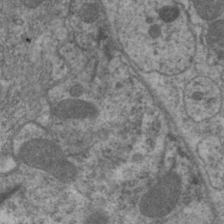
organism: C. elegans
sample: Pharynx